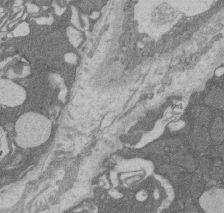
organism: Rat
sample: Salivary granule